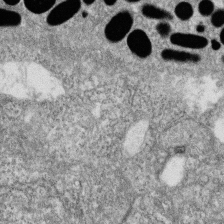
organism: Zebrafish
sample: Cilia; retinal pigment epithelium